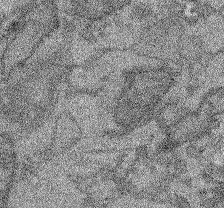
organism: Human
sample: HeLa cells